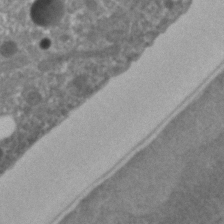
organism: C. elegans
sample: C. elegans embryo